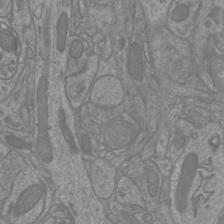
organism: Mouse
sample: Cortical neurons